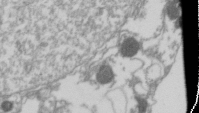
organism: Drosophila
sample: Cell division; meiosis; drosophila spermatocytes